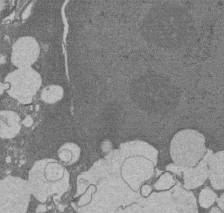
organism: Rat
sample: Salivary granule